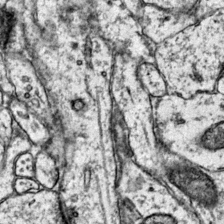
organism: Mouse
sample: Primary visual cortex